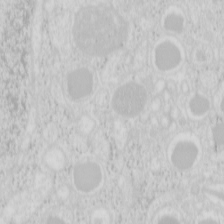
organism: Mouse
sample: Pancreas